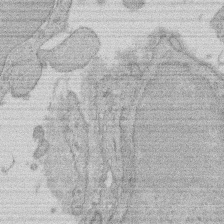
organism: Rat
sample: Salivary granule